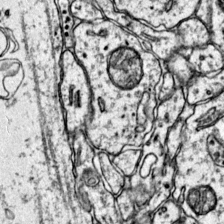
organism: Mouse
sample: Primary visual cortex